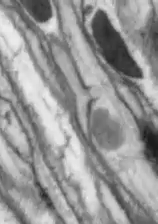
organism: Drosophila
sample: Optic lobe